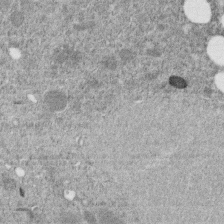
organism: C. elegans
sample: C. elegans embryo early stage